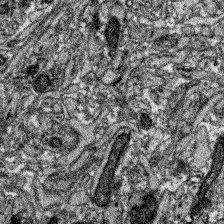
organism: Zebrafish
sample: Larval olfactory bulb